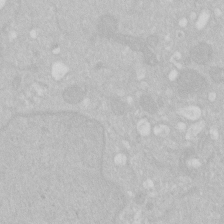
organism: Human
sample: HIV infected U937 cells